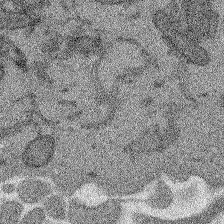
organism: Human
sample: HeLa cells